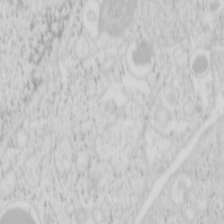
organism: Mouse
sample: Pancreas